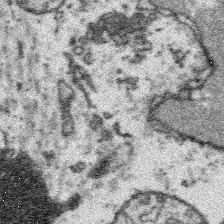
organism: Platynereis dumerilii